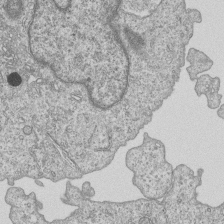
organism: Human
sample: MDA-MB-231 cells